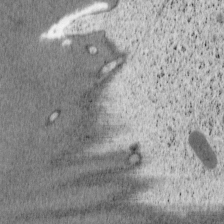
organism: African green monkey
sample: COS-7 cells